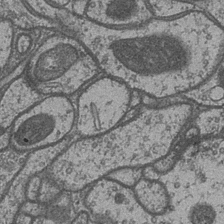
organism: Drosophila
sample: Optic medulla